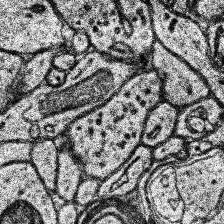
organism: Human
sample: Temporal Lobe